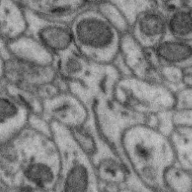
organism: Zebra finch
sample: Brain